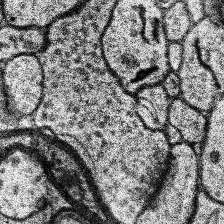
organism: Human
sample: Temporal Lobe